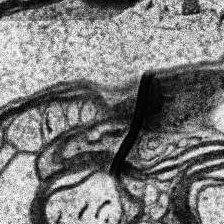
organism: Human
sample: Temporal Lobe